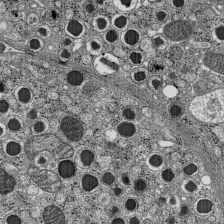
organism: C57BL Mouse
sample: Pancreatic islet